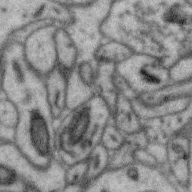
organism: Zebra finch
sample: Brain